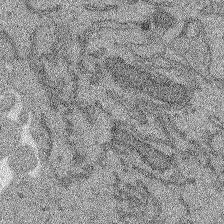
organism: Human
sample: HeLa cells